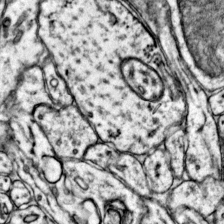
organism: Mouse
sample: Primary visual cortex